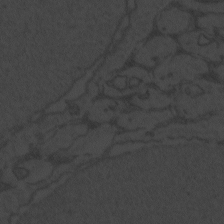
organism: Zebrafish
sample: Macrophage infected with Toxoplasma gondii